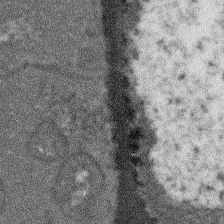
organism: Arabidopsis thaliana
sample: Root tip